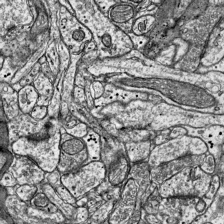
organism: Mouse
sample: Visual Cortex